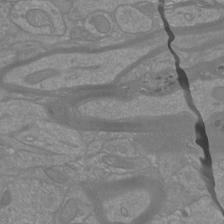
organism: Mouse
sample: Cortical neurons